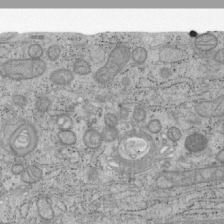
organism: Human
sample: HeLa cells